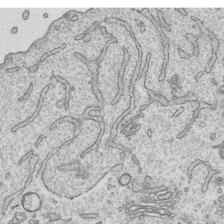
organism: Human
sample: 1205lu cells